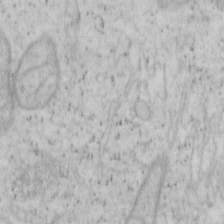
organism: Human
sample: HeLa cells